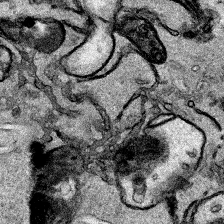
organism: Human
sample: Mitochondria in HCT116 cells